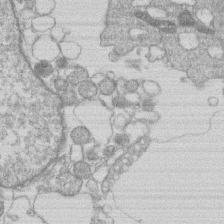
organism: Human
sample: Macrophage cells